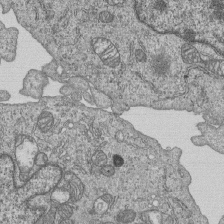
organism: Human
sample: MDA-MB-231 cells